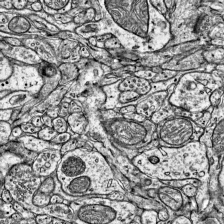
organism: Mouse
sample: Visual Cortex